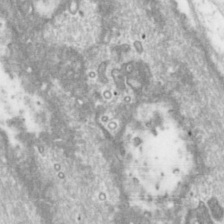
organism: Toxoplasma gondii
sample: Parasites in a vacuole inside a host cell